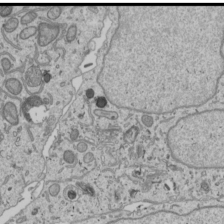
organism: Human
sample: Mitochondria in U2OS cells